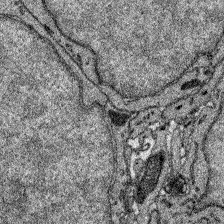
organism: Zebrafish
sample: Larval olfactory bulb